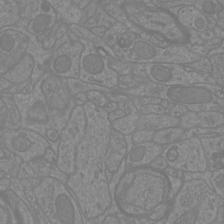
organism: Mouse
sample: Cortical neurons